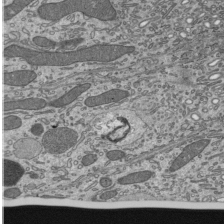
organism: Mouse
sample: Mouse epididymis efferent ductule cilia